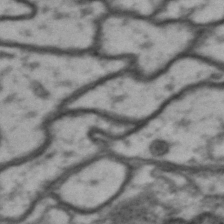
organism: Drosophila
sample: Brain